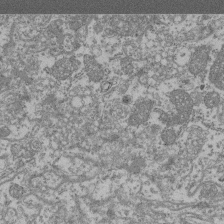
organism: Mouse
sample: Glomerulus